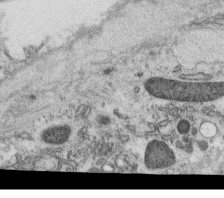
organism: C. elegans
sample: C. elegans oocyte; sperm cells